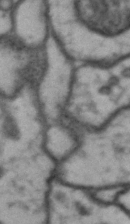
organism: Drosophila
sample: Brain